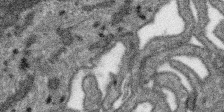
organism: Human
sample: Lung epithelial cells infected with SARS-CoV-2